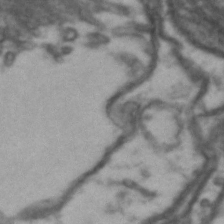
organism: Drosophila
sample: Brain